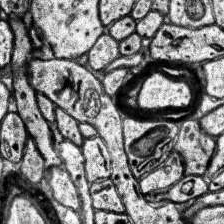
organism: Human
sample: Temporal Lobe